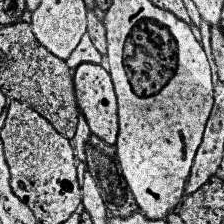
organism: Human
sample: Temporal Lobe